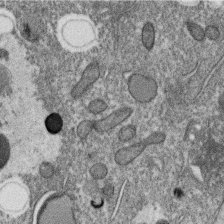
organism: C. elegans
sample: C. elegans oocyte; sperm cells